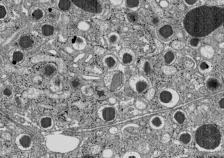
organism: C57BL Mouse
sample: Pancreatic islet